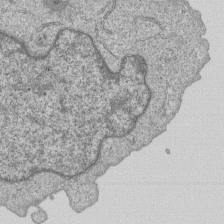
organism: Human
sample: MDA-MB-231 cells